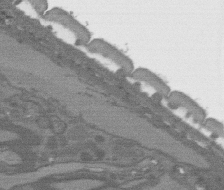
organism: C. elegans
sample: AFD neurons C. elegans